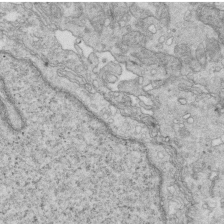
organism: Mouse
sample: Multiciliated cells